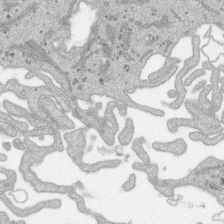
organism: Human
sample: Lung epithelial cells infected with SARS-CoV-2